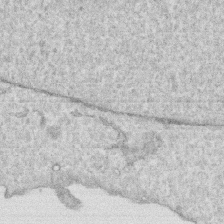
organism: Human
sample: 1205lu cells